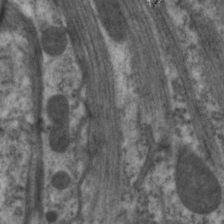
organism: C. elegans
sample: Pharynx